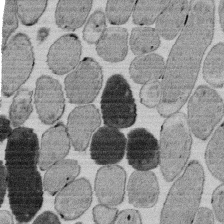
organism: E. coli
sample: Bacterial nucleoid